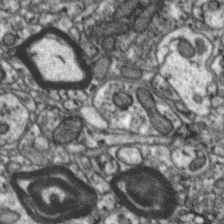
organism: Zebra finch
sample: Brain